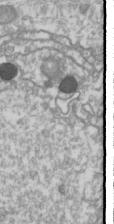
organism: Drosophila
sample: Cell division; meiosis; drosophila spermatocytes